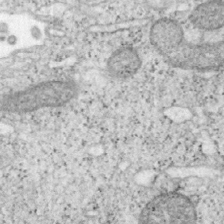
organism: Mouse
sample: OT-I killer T cells with ID8 ovarian cancer cells